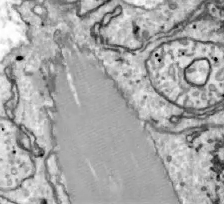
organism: Zebrafish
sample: Actinotrichia fibers